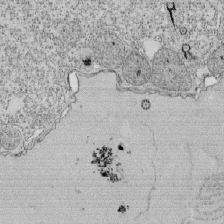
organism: Tetrahymena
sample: Cilia in tetrahymena